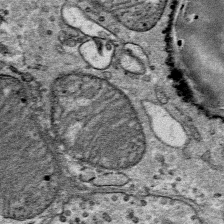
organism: Mouse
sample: Mouse Salivary gland